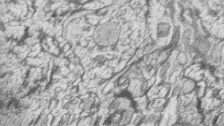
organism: Zebrafish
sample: synaptic ribbons in rod cells and cone cells